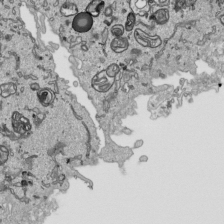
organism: Human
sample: Mitochondria in HCT116 cells